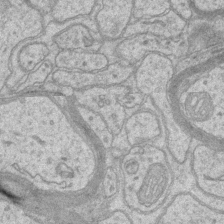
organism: Mouse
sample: CA1 Hippocampus